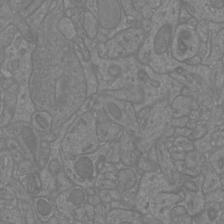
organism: Mouse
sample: Cortical neurons